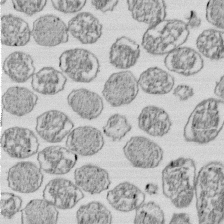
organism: E. coli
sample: Bacterial nucleoid